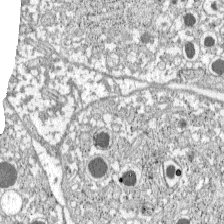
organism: C57BL Mouse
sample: Pancreatic islet